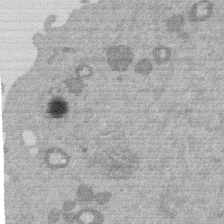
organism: Mouse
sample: Dividing mouse embryo 1 cell stage